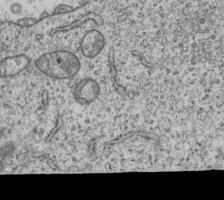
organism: Human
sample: MDA-MB-231 cells